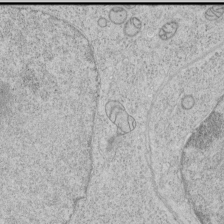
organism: Human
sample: Mitochondria in HCT116 cells